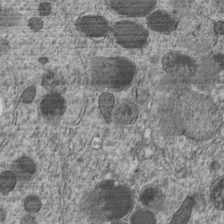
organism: C. elegans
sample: C. elegans embryo early stage